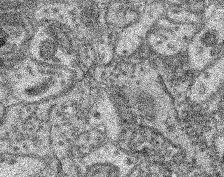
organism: Mouse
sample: Retina